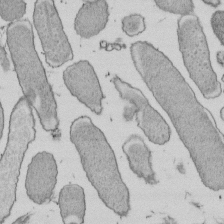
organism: E. coli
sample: Bacterial nucleoid